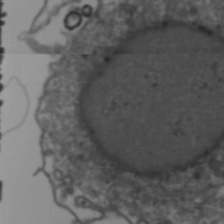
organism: Human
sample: HIV-1 Gag-iGFP